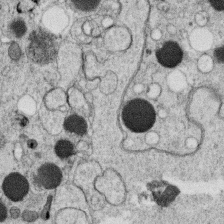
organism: C. elegans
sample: C. elegans oocyte; sperm cells